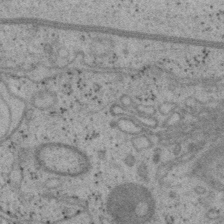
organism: Human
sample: HeLa cells